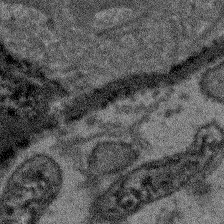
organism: Arabidopsis thaliana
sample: Root tip